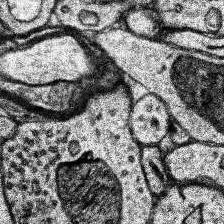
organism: Human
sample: Temporal Lobe